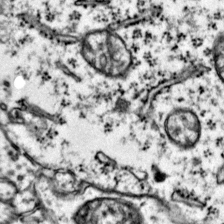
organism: Mouse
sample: Primary visual cortex